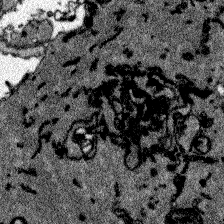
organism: Zebrafish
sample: Larval olfactory bulb